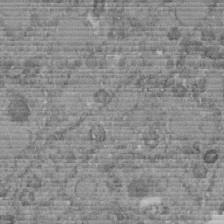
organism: C. elegans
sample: C. elegans embryo early stage